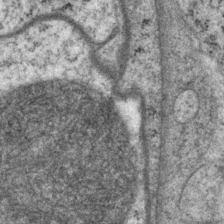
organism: P. pacificus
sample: Pharynx